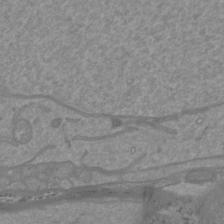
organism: Mouse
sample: Cortical neurons